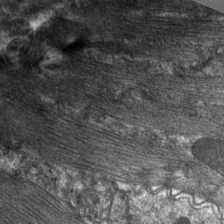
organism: C. elegans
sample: Pharynx